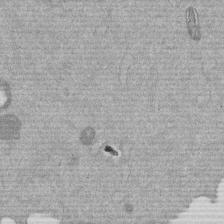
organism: Mouse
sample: Dividing mouse embryo 1 cell stage